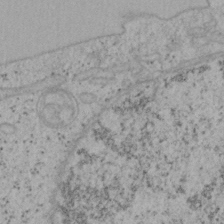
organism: Human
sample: HeLa cells